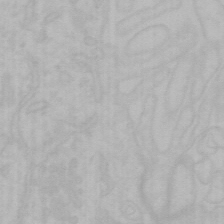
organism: Mouse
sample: Choroid plexus